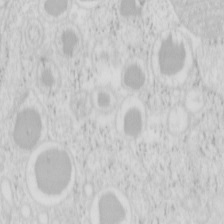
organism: Mouse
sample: Pancreas